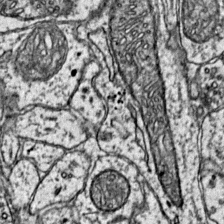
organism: Mouse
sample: Primary visual cortex